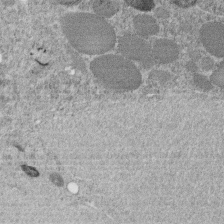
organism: C. elegans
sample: C. elegans embryo early stage